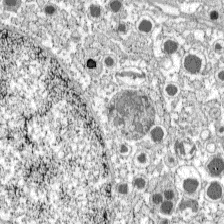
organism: C57BL Mouse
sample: Pancreatic islet